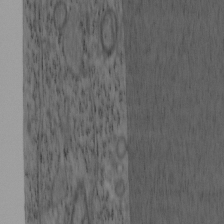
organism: Human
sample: HeLa cells